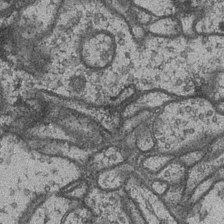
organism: Drosophila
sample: Optic medulla